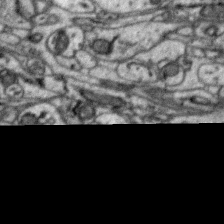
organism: Zebra finch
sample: Brain